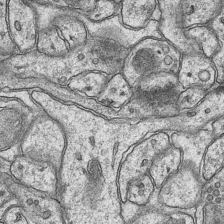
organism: Mouse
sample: CA1 Hippocampus